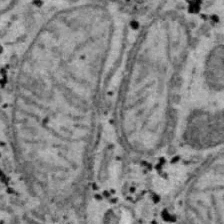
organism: Mouse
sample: Liver from an obese (ob/ob) mouse